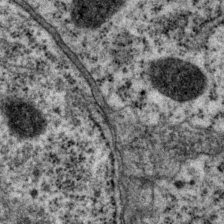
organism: P. pacificus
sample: Pharynx